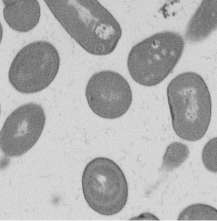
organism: B. subtilis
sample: Bacterial spore